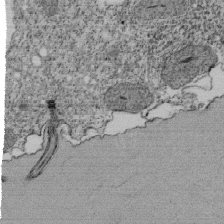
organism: Tetrahymena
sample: Cilia in tetrahymena